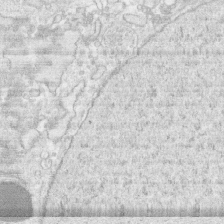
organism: Human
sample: CRL-1474